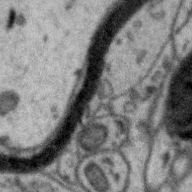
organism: Zebra finch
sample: Brain